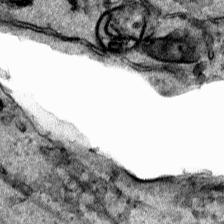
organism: Human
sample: Mitochondria in HCT116 cells